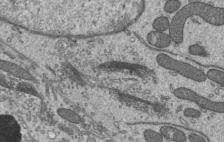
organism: Mouse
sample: Mouse epididymis efferent ductule cilia